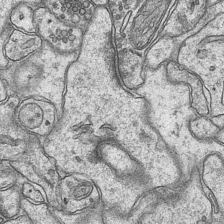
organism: Mouse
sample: CA1 Hippocampus